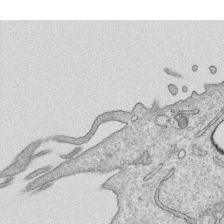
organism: Human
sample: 1205lu cells